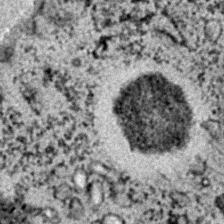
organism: C. elegans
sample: C. elegans embryo